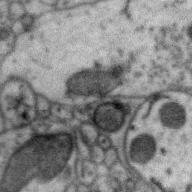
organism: Zebra finch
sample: Brain